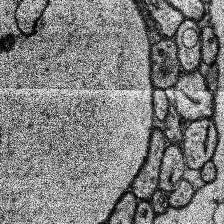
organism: Human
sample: Temporal Lobe